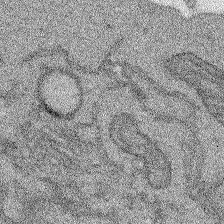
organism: Human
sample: HeLa cells